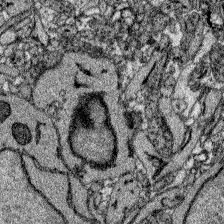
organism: Zebrafish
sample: Larval olfactory bulb